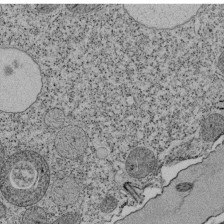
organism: Tetrahymena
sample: Cilia in tetrahymena